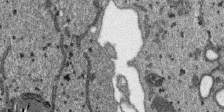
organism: Human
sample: Lung epithelial cells infected with SARS-CoV-2